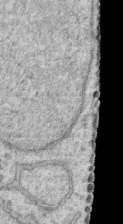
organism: Human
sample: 1205lu cells